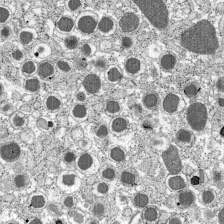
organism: C57BL Mouse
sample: Pancreatic islet